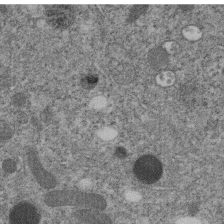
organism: C. elegans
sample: C. elegans embryo early stage